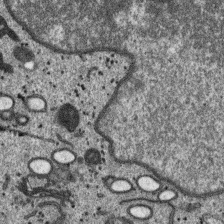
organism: Human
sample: Lung epithelial cells infected with SARS-CoV-2